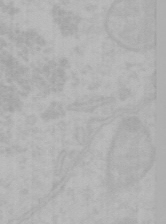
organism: Mouse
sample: Choroid plexus